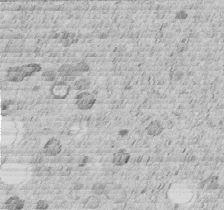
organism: C. elegans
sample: C. elegans embryo early stage